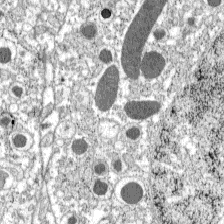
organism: C57BL Mouse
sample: Pancreatic islet